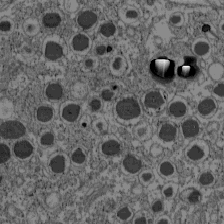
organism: C57BL Mouse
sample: Pancreatic islet